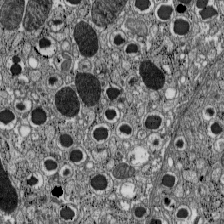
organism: C57BL Mouse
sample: Pancreatic islet